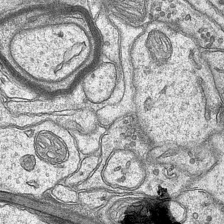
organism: Mouse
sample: CA1 Hippocampus